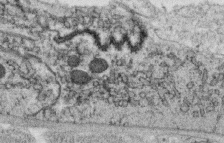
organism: C. elegans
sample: C. elegans oocyte; sperm cells